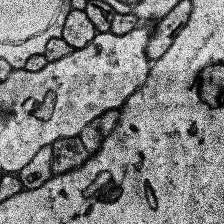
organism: Human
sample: Temporal Lobe